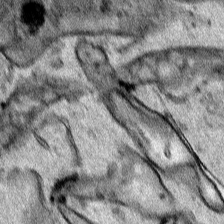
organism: Human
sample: Mitochondria in HCT116 cells